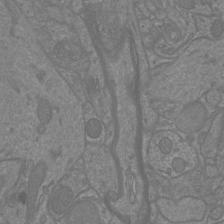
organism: Mouse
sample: Cortical neurons